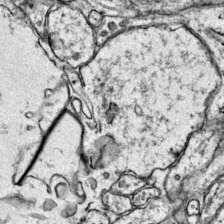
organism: Mouse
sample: Primary visual cortex